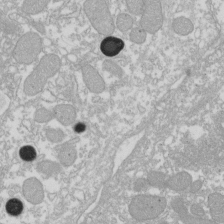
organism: Xenopus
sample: Cilia; centrioles in frog embryo cells